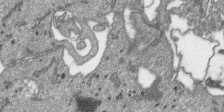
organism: Human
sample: Lung epithelial cells infected with SARS-CoV-2